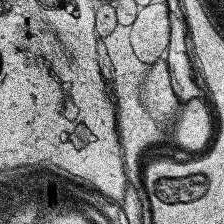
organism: Human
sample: Temporal Lobe